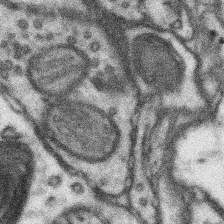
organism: Mouse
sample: Somatosensory cortex neuropil